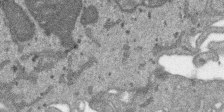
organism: Human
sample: Lung epithelial cells infected with SARS-CoV-2